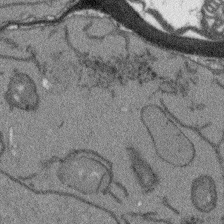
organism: Arabidopsis thaliana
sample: Root tip